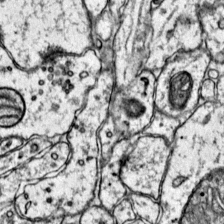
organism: Mouse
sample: Primary visual cortex